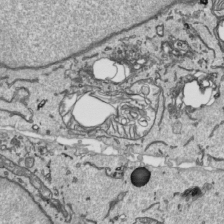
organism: Human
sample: Mitochondria in HCT116 cells